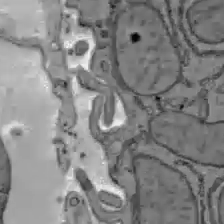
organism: C57BL Mouse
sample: Liver